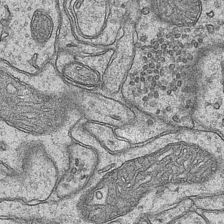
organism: Mouse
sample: CA1 Hippocampus